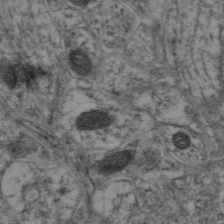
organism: Mouse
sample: Neocortex